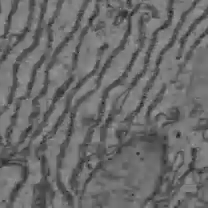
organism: C57BL Mouse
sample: Liver